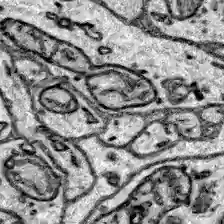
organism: Zebrafish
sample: Brain